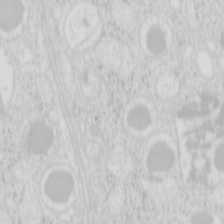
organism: Mouse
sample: Pancreas